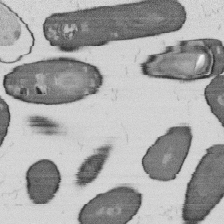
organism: B. subtilis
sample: Bacterial spore